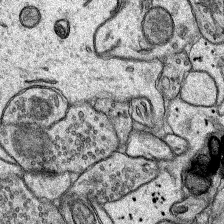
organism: Rat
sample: Hippocampus